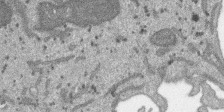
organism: Human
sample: Lung epithelial cells infected with SARS-CoV-2